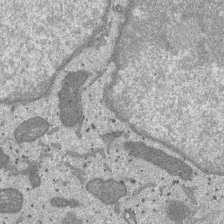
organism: Human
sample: Lung epithelial cells infected with SARS-CoV-2